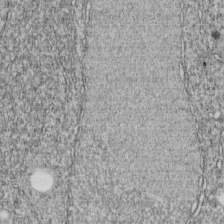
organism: C. elegans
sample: C. elegans embryo early stage